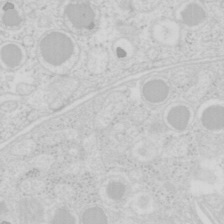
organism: Mouse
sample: Pancreas